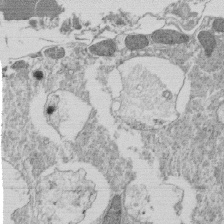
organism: Tetrahymena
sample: Cilia in tetrahymena